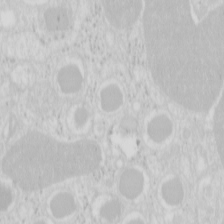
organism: Mouse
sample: Pancreas